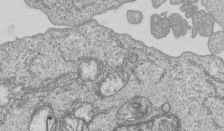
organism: Human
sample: MDA-MB-231 cells